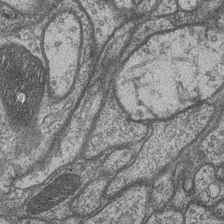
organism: Drosophila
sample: Optic medulla